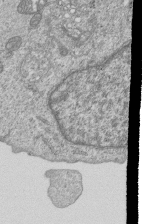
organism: Human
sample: MDA-MB-231 cells